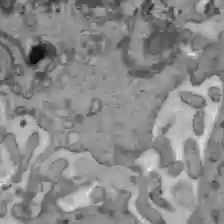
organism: C57BL Mouse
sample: Liver